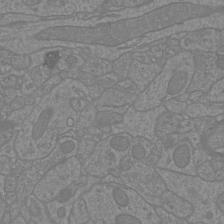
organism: Mouse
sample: Cortical neurons